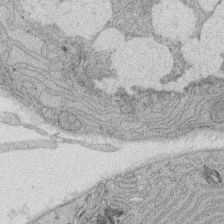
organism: Rat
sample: Salivary granule